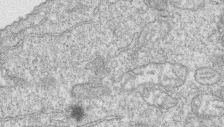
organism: Human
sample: HeLa cell HIV synapse